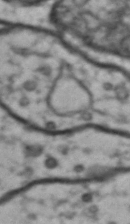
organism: Drosophila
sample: Brain